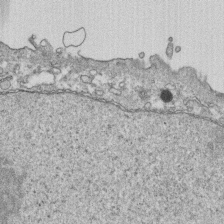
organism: Human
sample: HeLa cell HIV synapse